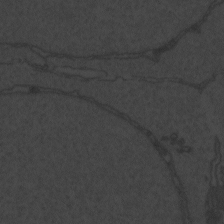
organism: Zebrafish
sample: Macrophage infected with Toxoplasma gondii